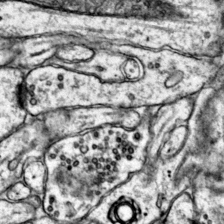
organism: Mouse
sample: Primary visual cortex